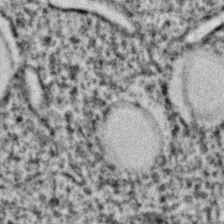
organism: C. elegans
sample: C. elegans embryo